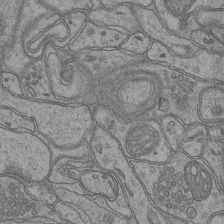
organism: Mouse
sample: CA1 Hippocampus